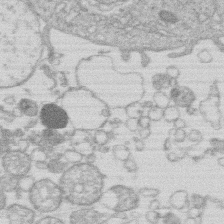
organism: Human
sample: Macrophage cells